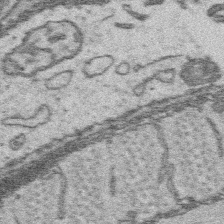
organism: Platynereis dumerilii